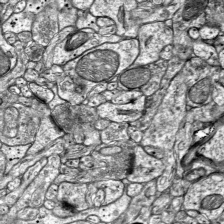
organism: Mouse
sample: Visual Cortex